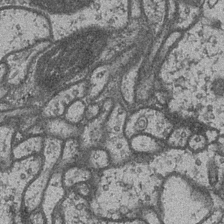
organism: Drosophila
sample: Optic medulla